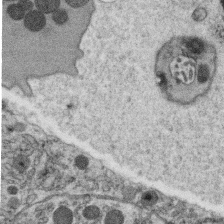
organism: C. elegans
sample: C. elegans oocyte; sperm cells